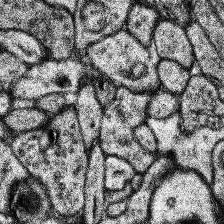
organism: Human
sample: Temporal Lobe